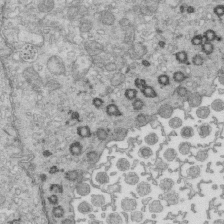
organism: Mouse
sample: Multiciliated cells